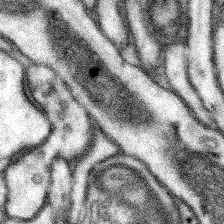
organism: Mouse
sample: Somatosensory cortex neuropil